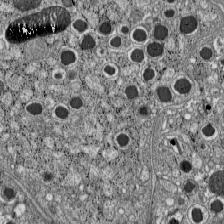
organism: C57BL Mouse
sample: Pancreatic islet